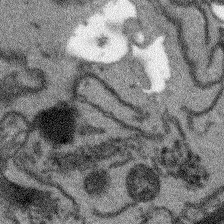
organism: Arabidopsis thaliana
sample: Root tip